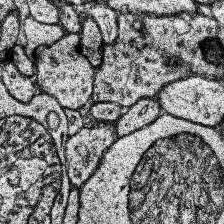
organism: Human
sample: Temporal Lobe